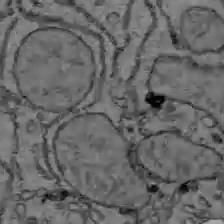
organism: C57BL Mouse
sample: Liver